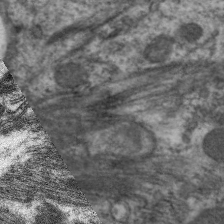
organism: C. elegans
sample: Pharynx